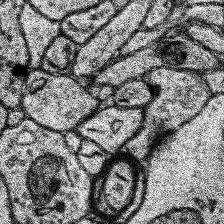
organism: Human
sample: Temporal Lobe